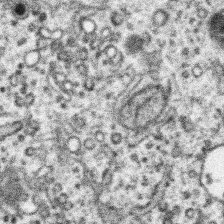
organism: Human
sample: HeLa cells